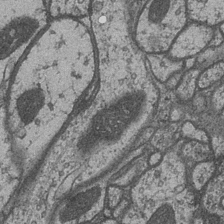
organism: Drosophila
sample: Optic medulla